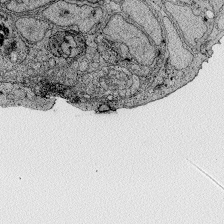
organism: Zebrafish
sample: Whole-Brain